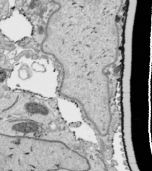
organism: Human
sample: Mitochondria in HCT116 cells